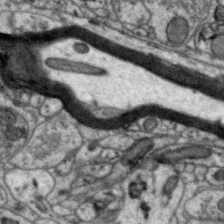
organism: Zebra finch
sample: Brain